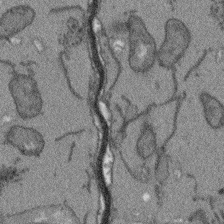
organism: Arabidopsis thaliana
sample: Root tip